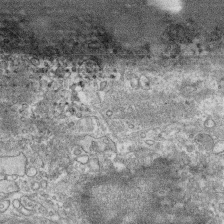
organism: Human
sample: CRL-1474